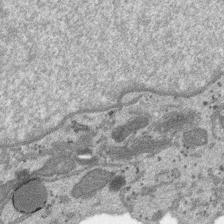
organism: Human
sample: Lung epithelial cells infected with SARS-CoV-2